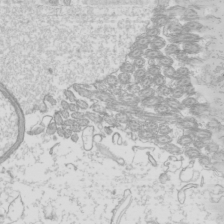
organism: Mouse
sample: Cilia; mouse epididymis